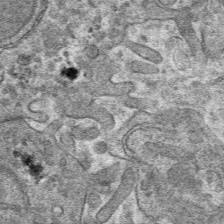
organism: Mouse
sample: Mouse hepatocytes